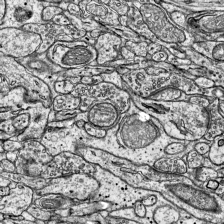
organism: Mouse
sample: Visual Cortex